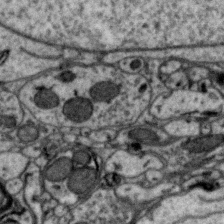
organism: Zebra finch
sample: Brain